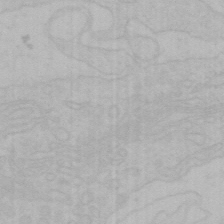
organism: Mouse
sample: Choroid plexus